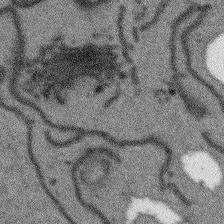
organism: Arabidopsis thaliana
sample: Root tip